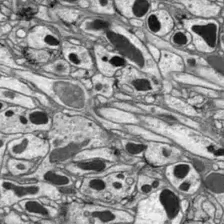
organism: Drosophila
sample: Optic lobe